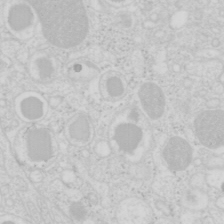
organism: Mouse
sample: Pancreas